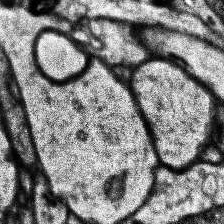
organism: Human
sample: Temporal Lobe